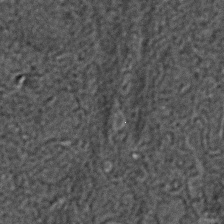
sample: Trachea